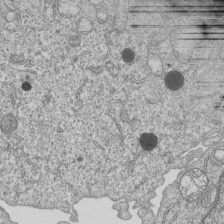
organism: Human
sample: MDA-MB-231 cells